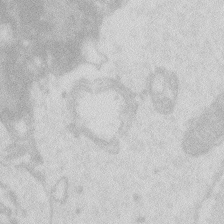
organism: Zebrafish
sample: Macrophage